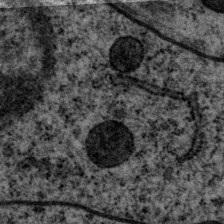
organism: P. pacificus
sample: Pharynx